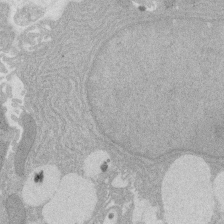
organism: Rat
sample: Salivary granule